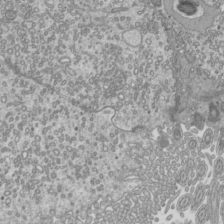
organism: Mouse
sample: Cilia; mouse epididymis